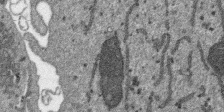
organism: Human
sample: Lung epithelial cells infected with SARS-CoV-2